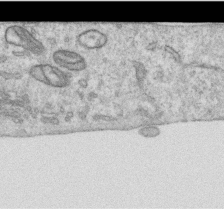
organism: Human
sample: Centriole in RPE cells